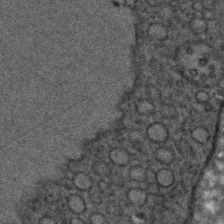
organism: C. elegans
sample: C. elegans embryo